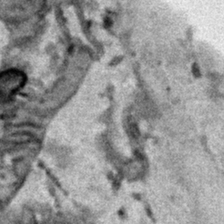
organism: Human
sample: Mitochondria in HCT116 cells